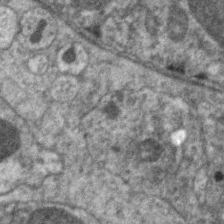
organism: C. elegans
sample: Pharynx